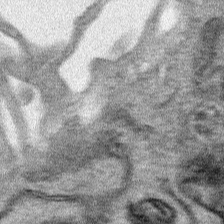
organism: Human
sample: Mitochondria in HCT116 cells